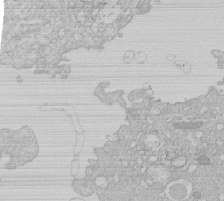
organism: Human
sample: Macrophage cells